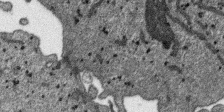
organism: Human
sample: Lung epithelial cells infected with SARS-CoV-2